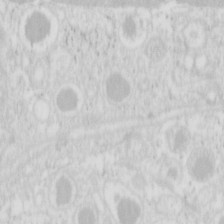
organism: Mouse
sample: Pancreas